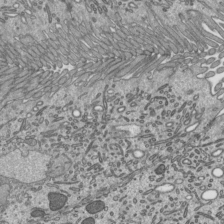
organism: Mouse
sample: Mouse epididymis efferent ductule cilia